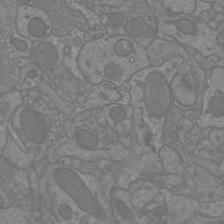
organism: Mouse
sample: Cortical neurons